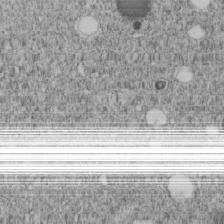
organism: C. elegans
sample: C. elegans embryo early stage